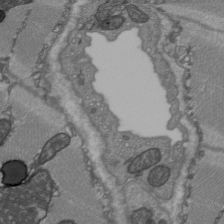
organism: C57BL Mouse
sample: Heart